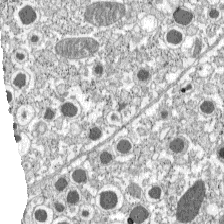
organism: C57BL Mouse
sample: Pancreatic islet